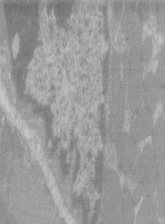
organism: C57BL Mouse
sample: Tibialis anterior muscle cell